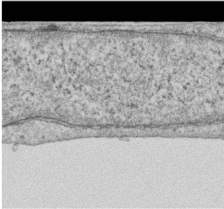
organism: Human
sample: Centriole in RPE cells